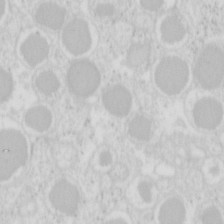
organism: Mouse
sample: Pancreas